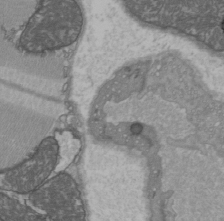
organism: C57BL Mouse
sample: Heart